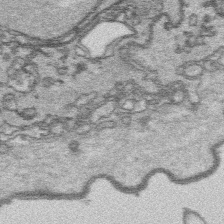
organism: Platynereis dumerilii